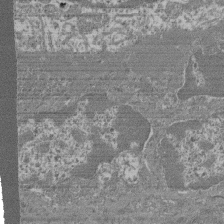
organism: Mouse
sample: Glomerulus